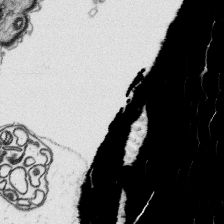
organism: Platynereis dumerilii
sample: Parapodia